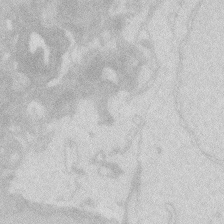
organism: Zebrafish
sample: Macrophage